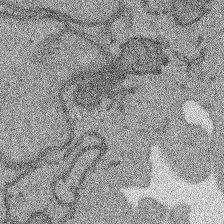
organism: Human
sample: HeLa cells